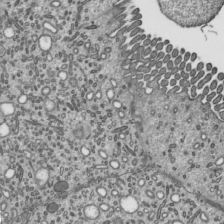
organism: Mouse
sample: Mouse epididymis efferent ductule cilia